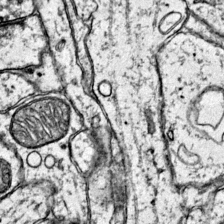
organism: Mouse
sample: Primary visual cortex